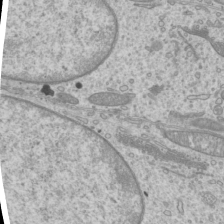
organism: Mouse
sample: Cilia; mouse epididymis